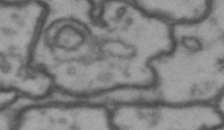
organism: Drosophila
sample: Brain